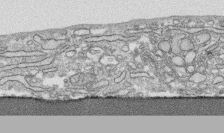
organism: Human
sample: CRL-1474